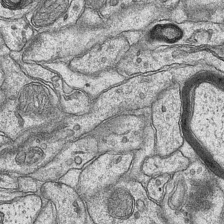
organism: Mouse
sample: CA1 Hippocampus